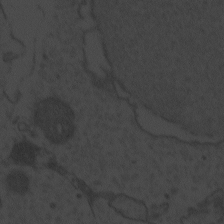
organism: Zebrafish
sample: Macrophage infected with Toxoplasma gondii